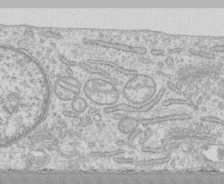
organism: Human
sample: CRL-1474